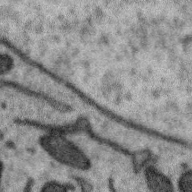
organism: Zebra finch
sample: Brain